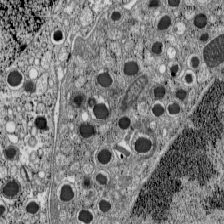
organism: C57BL Mouse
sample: Pancreatic islet